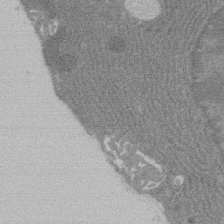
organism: Rat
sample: Salivary granule